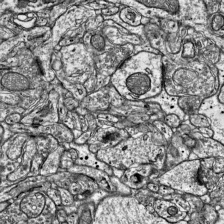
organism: Mouse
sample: Visual Cortex